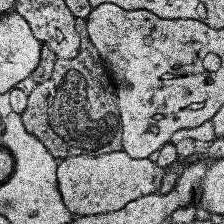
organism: Human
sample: Temporal Lobe